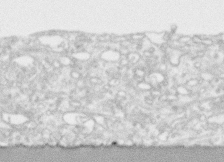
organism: Human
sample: CRL-1474